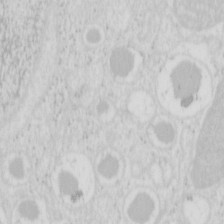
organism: Mouse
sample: Pancreas